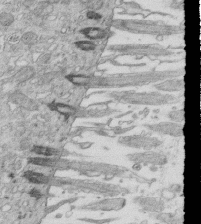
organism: Mouse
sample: Multiciliated cells